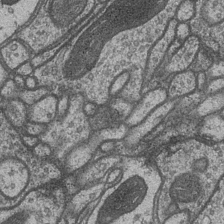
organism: Drosophila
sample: Optic medulla